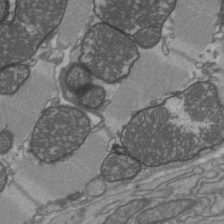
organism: C57BL Mouse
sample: Heart